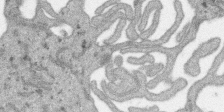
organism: Human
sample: Lung epithelial cells infected with SARS-CoV-2